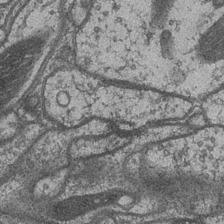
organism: Drosophila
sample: Optic medulla